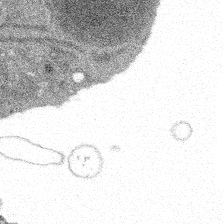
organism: Spongilla lacustris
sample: Multiple